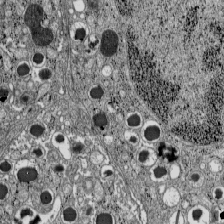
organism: C57BL Mouse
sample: Pancreatic islet